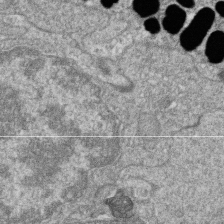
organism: Zebrafish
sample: Cilia; retinal pigment epithelium